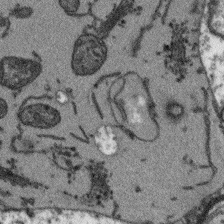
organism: Arabidopsis thaliana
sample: Root tip